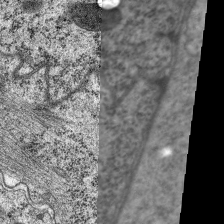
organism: C. elegans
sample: Pharynx